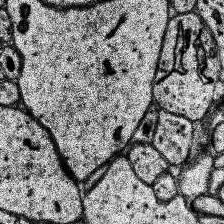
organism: Human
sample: Temporal Lobe